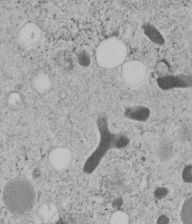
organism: C. elegans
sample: C. elegans embryo early stage